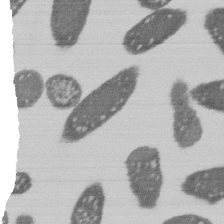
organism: E. coli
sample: Bacterial nucleoid